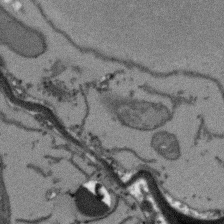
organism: Arabidopsis thaliana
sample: Root tip